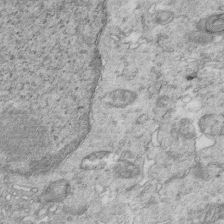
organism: Mouse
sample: Multiciliated cells